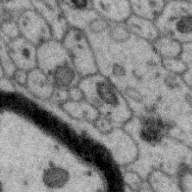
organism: Zebra finch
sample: Brain